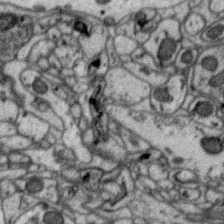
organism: Zebra finch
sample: Brain